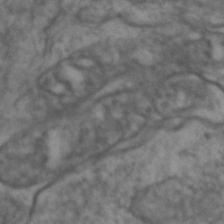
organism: Zebrafish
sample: Zebrafish embryo